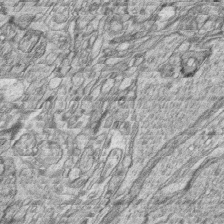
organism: Zebrafish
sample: synaptic ribbons in rod cells and cone cells